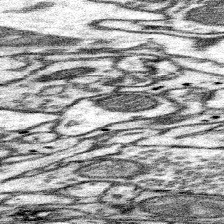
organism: Mouse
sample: Somatosensory cortex neuropil